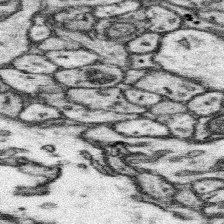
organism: Mouse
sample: Somatosensory cortex neuropil